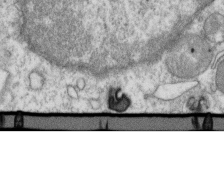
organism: Mouse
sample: Activated OT-1 CD8+ T cells